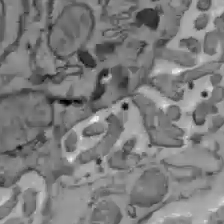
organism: C57BL Mouse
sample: Liver